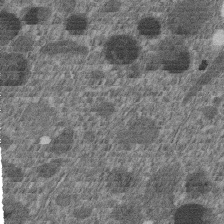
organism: C. elegans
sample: C. elegans embryo early stage